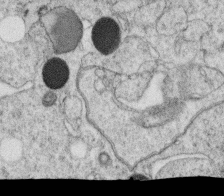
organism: C. elegans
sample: C. elegans oocyte; sperm cells